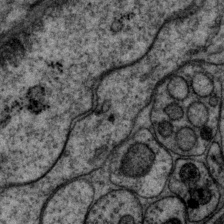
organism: P. pacificus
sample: Pharynx